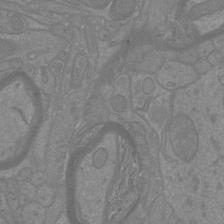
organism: Mouse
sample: Cortical neurons